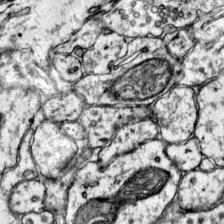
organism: Mouse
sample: Primary visual cortex